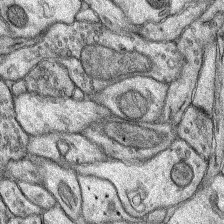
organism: Rat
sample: Hippocampus